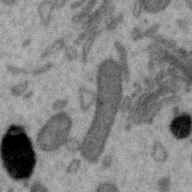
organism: Zebra finch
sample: Brain